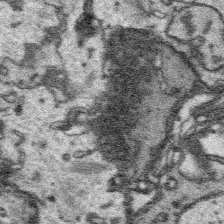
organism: Platynereis dumerilii